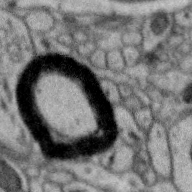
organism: Zebra finch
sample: Brain